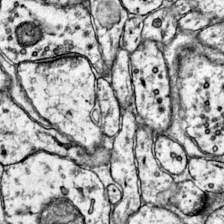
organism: Mouse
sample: Primary visual cortex